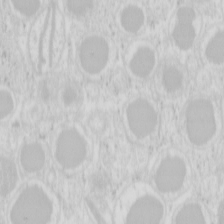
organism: Mouse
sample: Pancreas